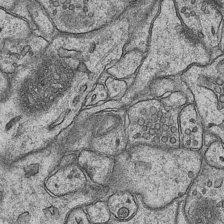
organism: Mouse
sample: CA1 Hippocampus